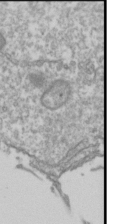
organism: Drosophila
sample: Cell division; meiosis; drosophila spermatocytes